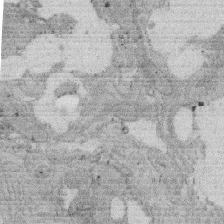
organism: Rat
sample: Salivary granule